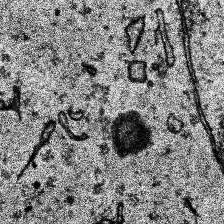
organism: Human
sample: Temporal Lobe